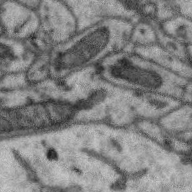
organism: Zebra finch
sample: Brain